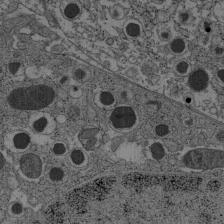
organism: C57BL Mouse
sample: Pancreatic islet